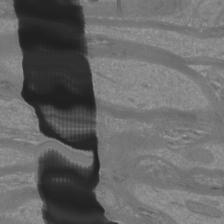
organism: Mouse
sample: Cortical neurons